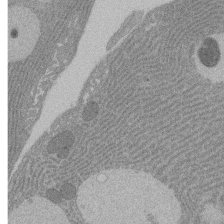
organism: Rat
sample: Salivary granule